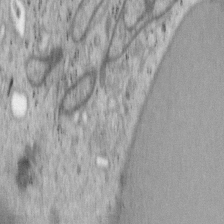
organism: Human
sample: HeLa cells